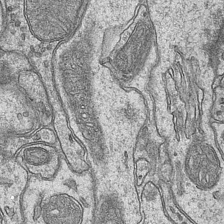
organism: Mouse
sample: CA1 Hippocampus